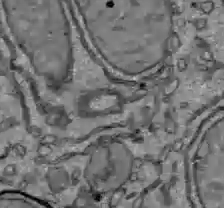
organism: C57BL Mouse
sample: Liver